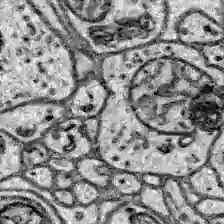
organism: Zebrafish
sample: Brain